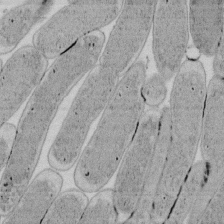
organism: E. coli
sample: Bacterial nucleoid